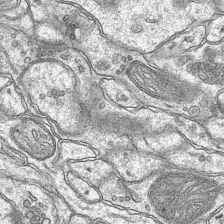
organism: Mouse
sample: CA1 Hippocampus